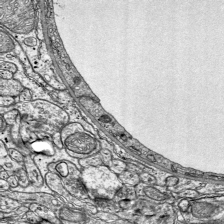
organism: Mouse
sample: Visual Cortex